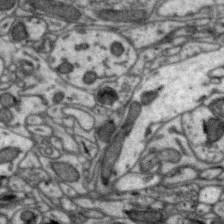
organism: Zebra finch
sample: Brain